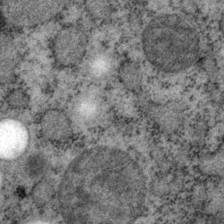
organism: P. pacificus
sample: Pharynx